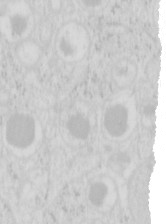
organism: Mouse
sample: Pancreas